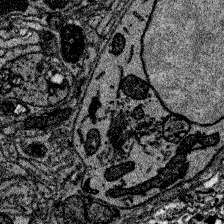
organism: Zebrafish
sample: Larval olfactory bulb